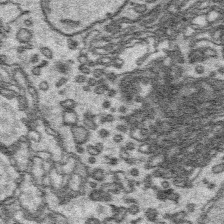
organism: Platynereis dumerilii